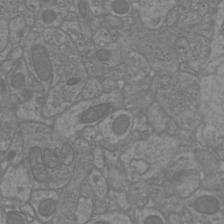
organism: Mouse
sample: Cortical neurons